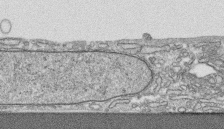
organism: Human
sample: CRL-1474